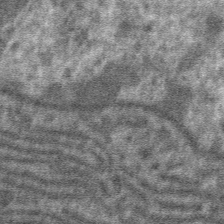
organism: Mouse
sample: Mouse hepatocytes